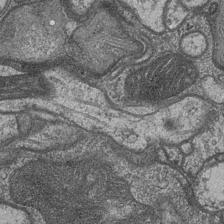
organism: Drosophila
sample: Optic medulla